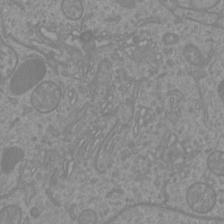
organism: Mouse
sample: Cortical neurons